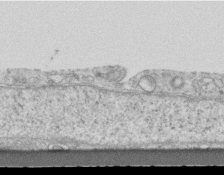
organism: Mouse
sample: Centriole in ependymal cells